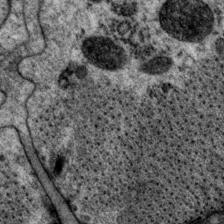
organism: P. pacificus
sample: Pharynx